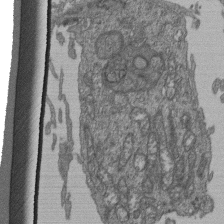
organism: Human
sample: Retinal organoid Rod and Cone cells